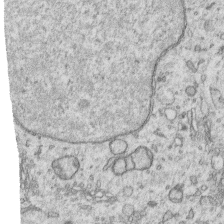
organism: Human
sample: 1205lu cells